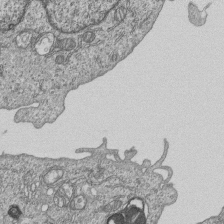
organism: Human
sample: MDA-MB-231 cells